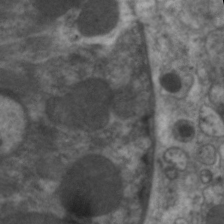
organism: C. elegans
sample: Pharynx